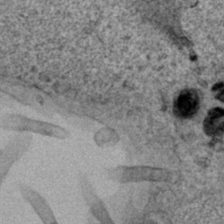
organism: Human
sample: Mitochondria in HCT116 cells